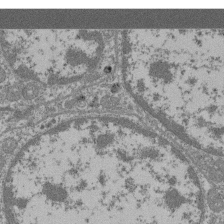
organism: Mouse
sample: Glomerulus